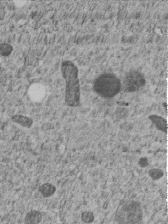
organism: C. elegans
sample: C. elegans embryo early stage